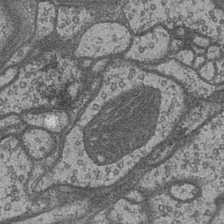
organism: Drosophila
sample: Optic medulla